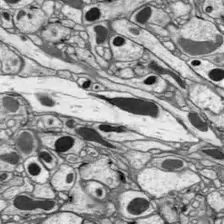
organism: Drosophila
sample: Optic lobe